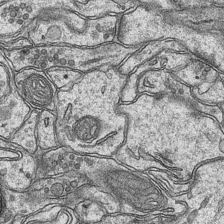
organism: Mouse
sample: CA1 Hippocampus